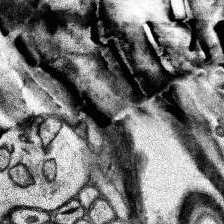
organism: Human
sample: Temporal Lobe